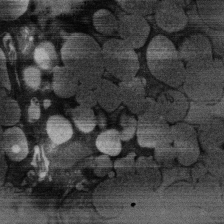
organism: Rat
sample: Salivary granule